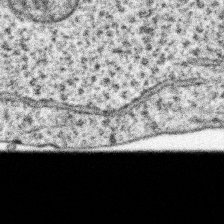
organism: Human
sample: HeLa cells